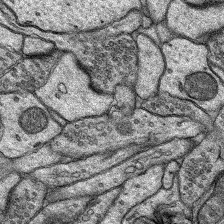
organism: Rat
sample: Hippocampus